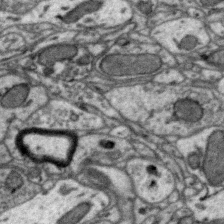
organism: Zebra finch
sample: Brain